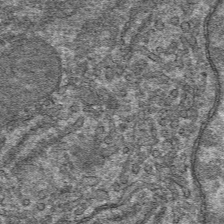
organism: Mouse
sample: Mouse hepatocytes